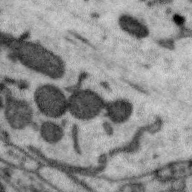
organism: Zebra finch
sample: Brain